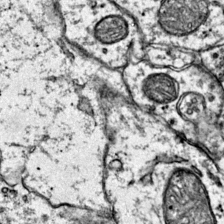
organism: Mouse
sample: Primary visual cortex